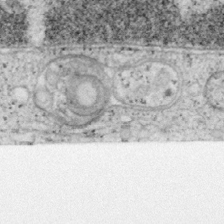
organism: Mouse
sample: OT-I killer T cells with ID8 ovarian cancer cells